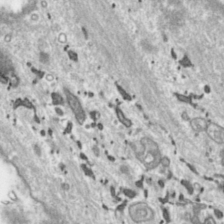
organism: Toxoplasma gondii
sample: Parasites in a vacuole inside a host cell